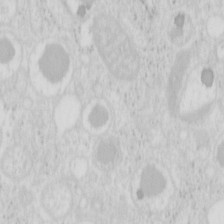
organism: Mouse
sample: Pancreas